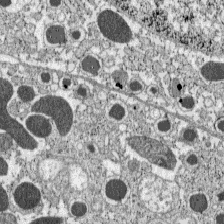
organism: C57BL Mouse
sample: Pancreatic islet